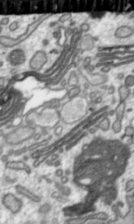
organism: Toxoplasma gondii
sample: Parasites in a vacuole inside a host cell